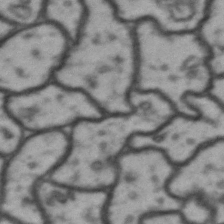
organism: Drosophila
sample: Brain